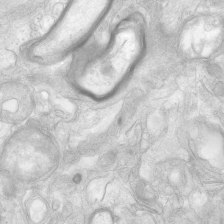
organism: Human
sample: Neocortex